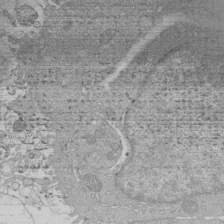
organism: Human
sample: Macrophage cells